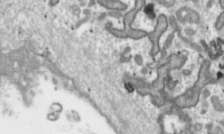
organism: Toxoplasma gondii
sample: Parasites in a vacuole inside a host cell